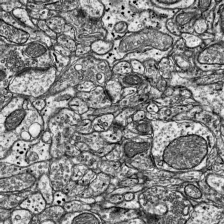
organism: Mouse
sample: Visual Cortex